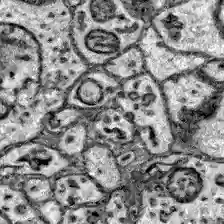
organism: Zebrafish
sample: Brain